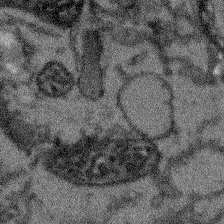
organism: Arabidopsis thaliana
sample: Root tip